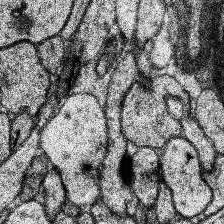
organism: Human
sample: Temporal Lobe